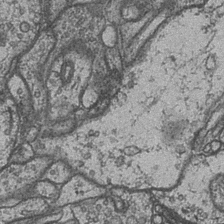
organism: Drosophila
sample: Optic medulla